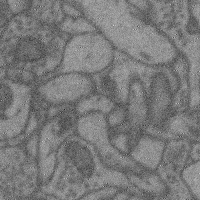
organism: Mouse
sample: Cerebral cortex